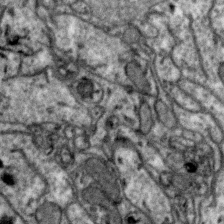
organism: Zebra finch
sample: Brain